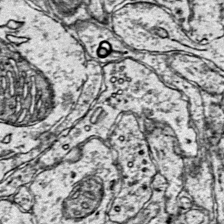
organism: Mouse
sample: Primary visual cortex